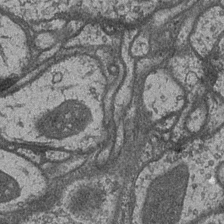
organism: Drosophila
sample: Optic medulla